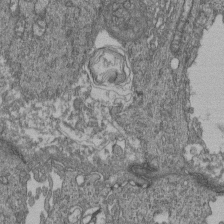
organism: Human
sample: Retinal organoid Rod and Cone cells